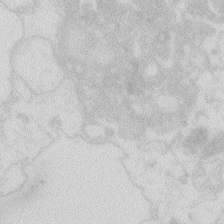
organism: Zebrafish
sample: Macrophage